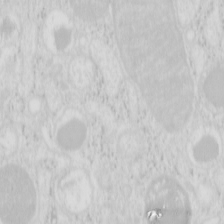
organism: Mouse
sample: Pancreas